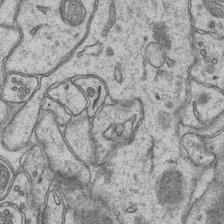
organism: Mouse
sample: CA1 Hippocampus